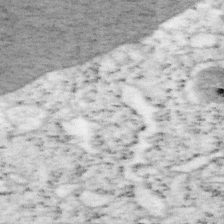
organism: Mouse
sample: OT-I killer T cells with ID8 ovarian cancer cells